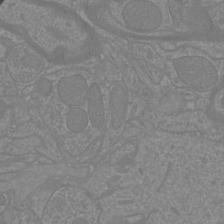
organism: Mouse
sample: Cortical neurons